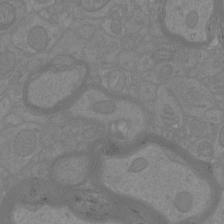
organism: Mouse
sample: Cortical neurons